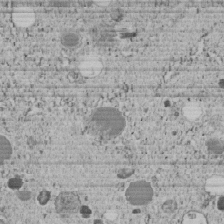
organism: C. elegans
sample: C. elegans embryo early stage